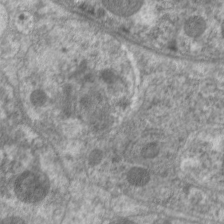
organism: C. elegans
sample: Pharynx